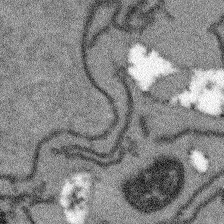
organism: Arabidopsis thaliana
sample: Root tip